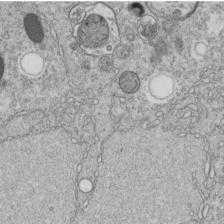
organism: C. elegans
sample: C. elegans embryo early stage